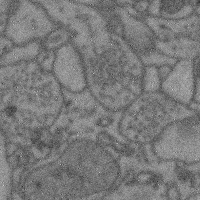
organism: Mouse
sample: Cerebral cortex